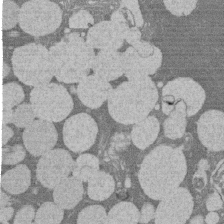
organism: Rat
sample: Salivary granule